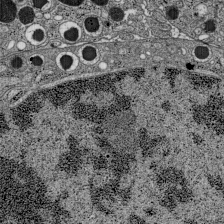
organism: C57BL Mouse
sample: Pancreatic islet